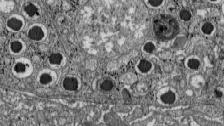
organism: C57BL Mouse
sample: Pancreatic islet